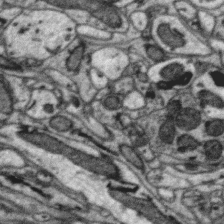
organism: Zebra finch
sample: Brain